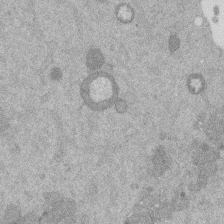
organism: Mouse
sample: Dividing mouse embryo 1 cell stage